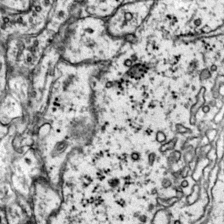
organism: Mouse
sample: Primary visual cortex